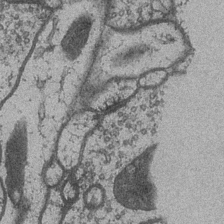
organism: Drosophila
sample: Optic medulla